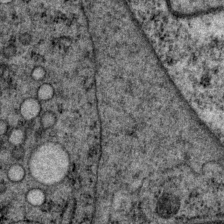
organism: P. pacificus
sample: Pharynx